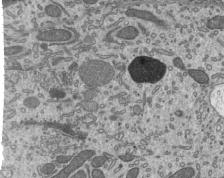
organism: Mouse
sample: Mouse epididymis efferent ductule cilia